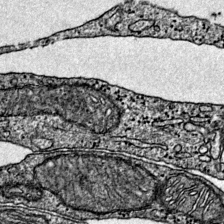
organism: Mouse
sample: Primary visual cortex